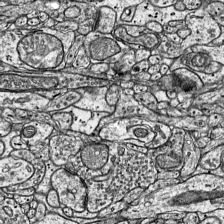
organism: Mouse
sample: Visual Cortex